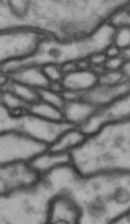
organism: Drosophila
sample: Brain